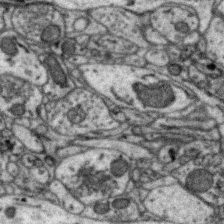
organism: Zebra finch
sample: Brain